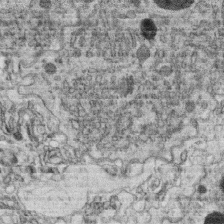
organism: C. elegans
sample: C. elegans oocyte; sperm cells